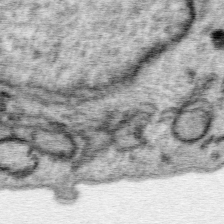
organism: Human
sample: HeLa cells